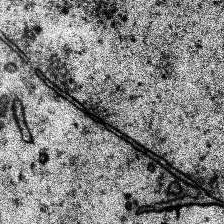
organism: Human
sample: Temporal Lobe